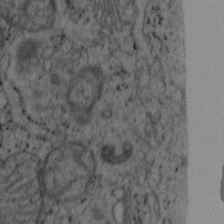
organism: Human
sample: HeLa cells